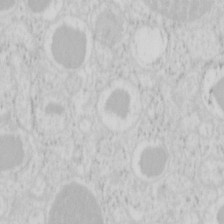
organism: Mouse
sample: Pancreas